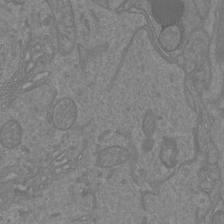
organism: Mouse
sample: Cortical neurons